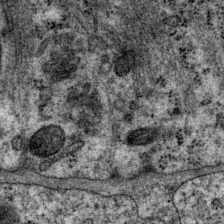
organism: P. pacificus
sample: Pharynx